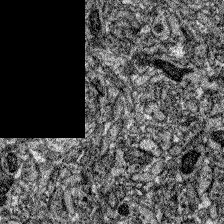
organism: Zebrafish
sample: Larval olfactory bulb